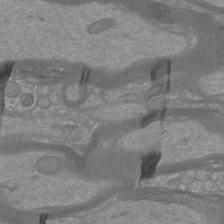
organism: Mouse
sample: Cortical neurons